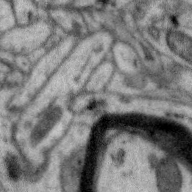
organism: Zebra finch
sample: Brain